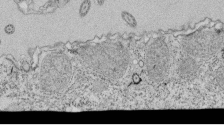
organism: Tetrahymena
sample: Cilia in tetrahymena